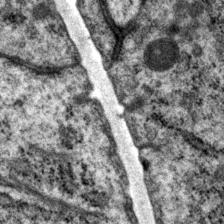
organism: P. pacificus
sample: Pharynx